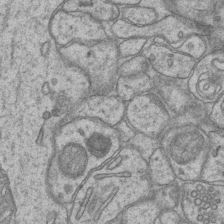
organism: Mouse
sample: CA1 Hippocampus